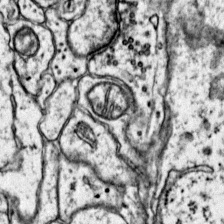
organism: Mouse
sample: Primary visual cortex